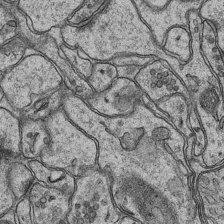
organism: Mouse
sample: CA1 Hippocampus